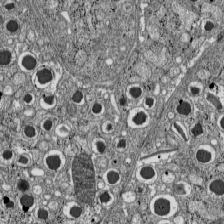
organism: C57BL Mouse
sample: Pancreatic islet